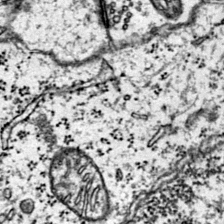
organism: Mouse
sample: Primary visual cortex